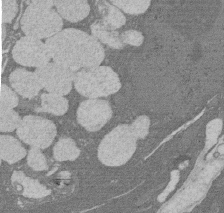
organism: Rat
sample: Salivary granule